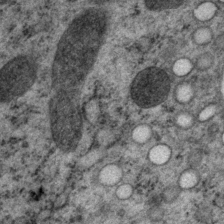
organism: P. pacificus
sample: Pharynx